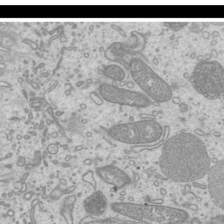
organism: Mouse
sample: Cilia; mouse epididymis